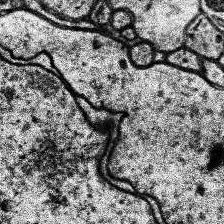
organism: Human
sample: Temporal Lobe